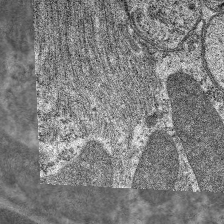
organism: C. elegans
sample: Pharynx